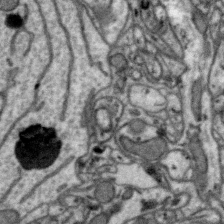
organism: Zebra finch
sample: Brain